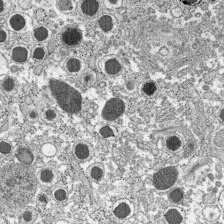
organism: C57BL Mouse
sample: Pancreatic islet